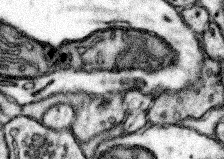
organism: Mouse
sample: Somatosensory cortex neuropil